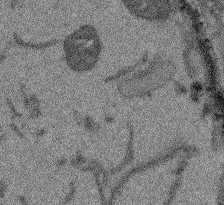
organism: Arabidopsis thaliana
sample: Root tip